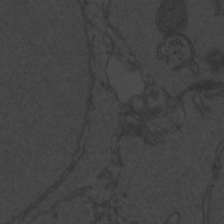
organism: Zebrafish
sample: Macrophage infected with Toxoplasma gondii